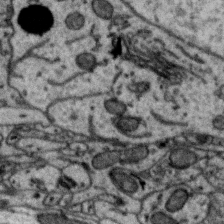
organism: Zebra finch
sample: Brain